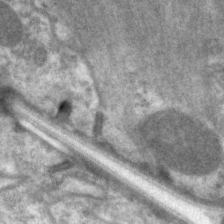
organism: C. elegans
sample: Pharynx